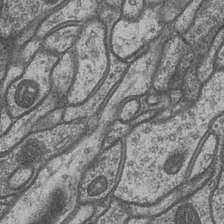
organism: Drosophila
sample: Optic medulla